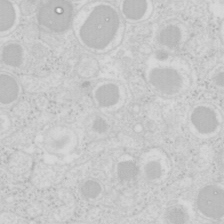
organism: Mouse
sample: Pancreas